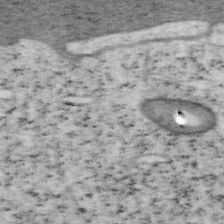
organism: Mouse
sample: OT-I killer T cells with ID8 ovarian cancer cells